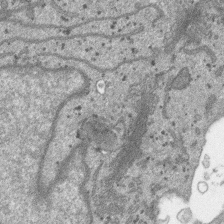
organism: Human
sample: Lung epithelial cells infected with SARS-CoV-2